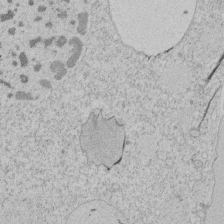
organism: Tetrahymena